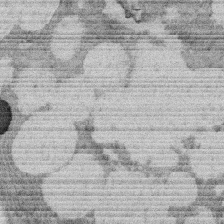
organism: Rat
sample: Salivary granule